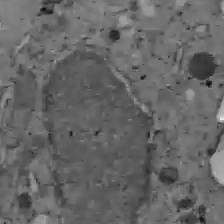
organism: C57BL Mouse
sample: Liver